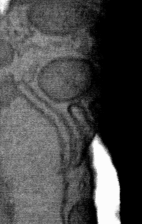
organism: Mouse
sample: Mouse Salivary gland